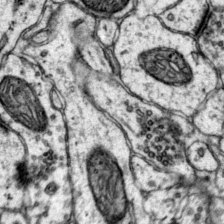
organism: Mouse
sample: Primary visual cortex